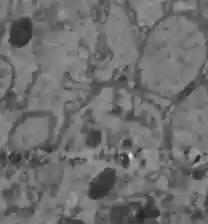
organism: C57BL Mouse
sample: Liver